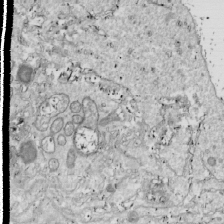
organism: Drosophila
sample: Cell division; meiosis; drosophila spermatocytes